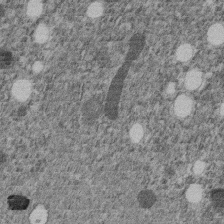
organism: C. elegans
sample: C. elegans embryo early stage